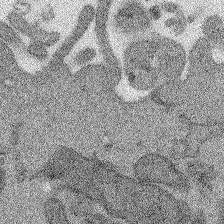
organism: Human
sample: HeLa cells